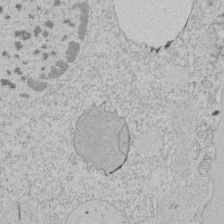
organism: Tetrahymena